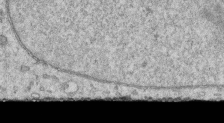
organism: Human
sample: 1205lu cells